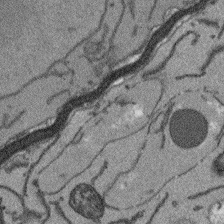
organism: Arabidopsis thaliana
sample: Root tip